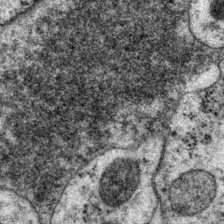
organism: P. pacificus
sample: Pharynx